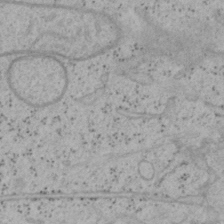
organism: Human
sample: HeLa cells